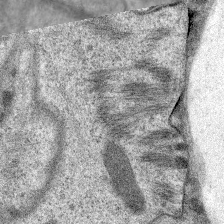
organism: C. elegans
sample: Pharynx